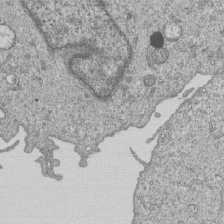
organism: Human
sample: MDA-MB-231 cells